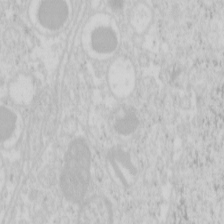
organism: Mouse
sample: Pancreas